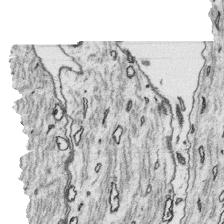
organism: Platynereis dumerilii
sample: Parapodia